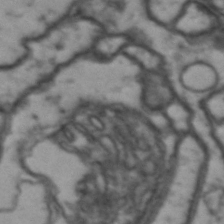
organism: Drosophila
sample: Brain